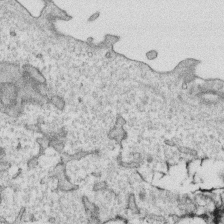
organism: Human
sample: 1205lu cells